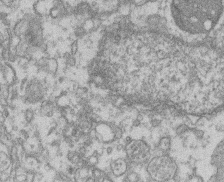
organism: Mouse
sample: T cell stromal cell synapse